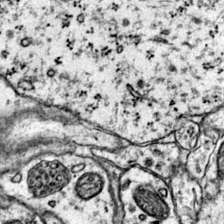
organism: Mouse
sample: Primary visual cortex